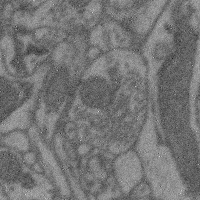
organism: Mouse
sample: Cerebral cortex